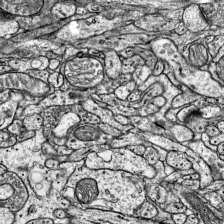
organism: Mouse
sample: Visual Cortex